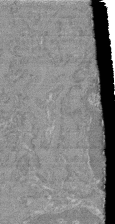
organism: Mouse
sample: Glomerulus